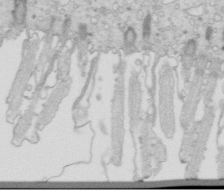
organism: Mouse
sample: Multiciliated cells